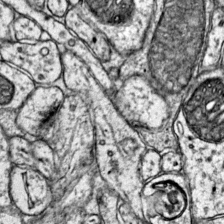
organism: Mouse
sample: Primary visual cortex